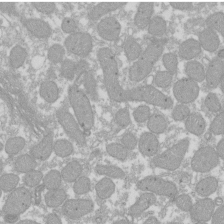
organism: Xenopus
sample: Cilia; centrioles in frog embryo cells